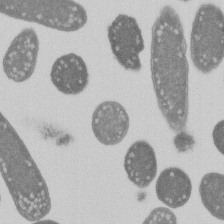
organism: E. coli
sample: Bacterial nucleoid